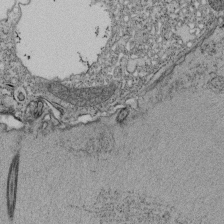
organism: Tetrahymena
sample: Cilia in tetrahymena